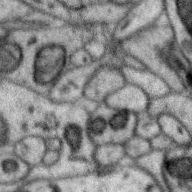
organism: Zebra finch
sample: Brain